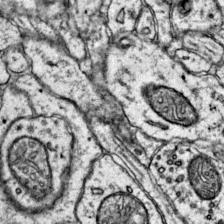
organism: Mouse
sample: Primary visual cortex